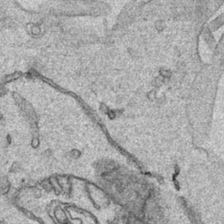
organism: Human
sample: Mitochondria in HCT116 cells